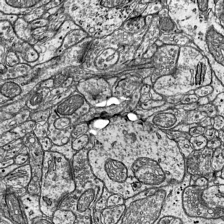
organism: Mouse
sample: Visual Cortex